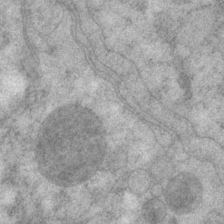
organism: P. pacificus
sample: Pharynx